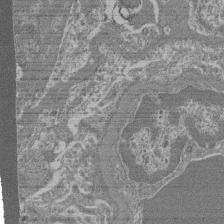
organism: Mouse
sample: Glomerulus